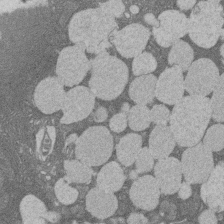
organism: Rat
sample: Salivary granule